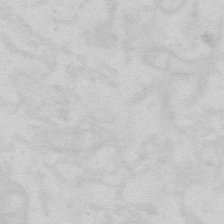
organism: Human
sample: HeLa cells